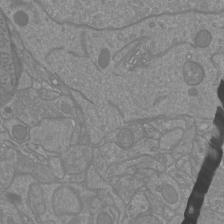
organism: Mouse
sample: Cortical neurons